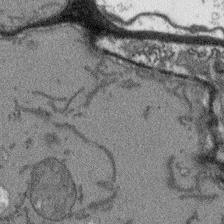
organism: Arabidopsis thaliana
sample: Root tip